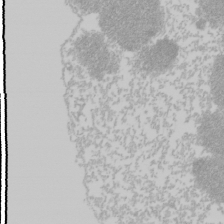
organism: Mouse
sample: Cancer cell death in ED-1 cells